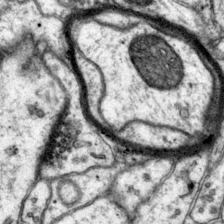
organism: Mouse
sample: Primary visual cortex